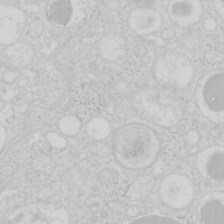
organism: Mouse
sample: Pancreas